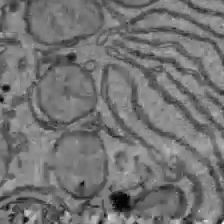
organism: C57BL Mouse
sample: Liver